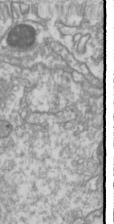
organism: Drosophila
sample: Cell division; meiosis; drosophila spermatocytes